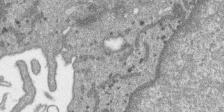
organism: Human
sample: Lung epithelial cells infected with SARS-CoV-2